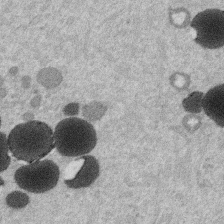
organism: Mouse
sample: Dividing mouse embryo 1 cell stage